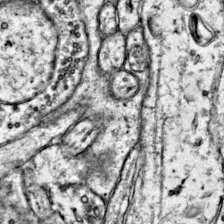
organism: Mouse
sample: Primary visual cortex